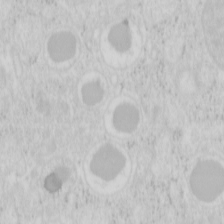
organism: Mouse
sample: Pancreas